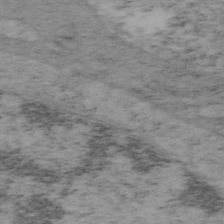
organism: Mouse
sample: OT-I killer T cells with ID8 ovarian cancer cells